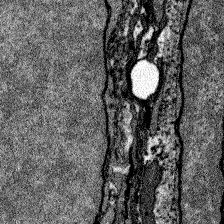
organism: Zebrafish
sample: Larval olfactory bulb